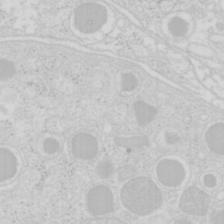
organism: Mouse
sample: Pancreas